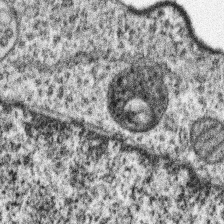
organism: Human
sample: HeLa cells